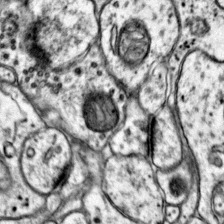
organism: Mouse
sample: Primary visual cortex